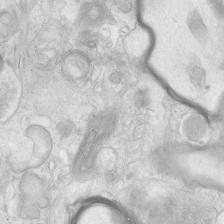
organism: Human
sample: Neocortex